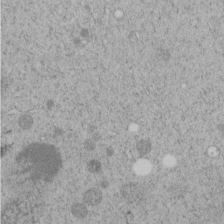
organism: C. elegans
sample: C. elegans embryo early stage